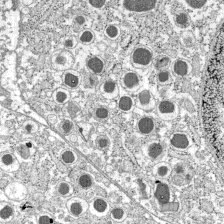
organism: C57BL Mouse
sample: Pancreatic islet